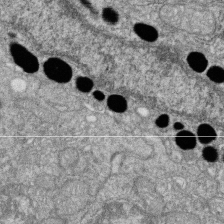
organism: Zebrafish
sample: Cilia; retinal pigment epithelium